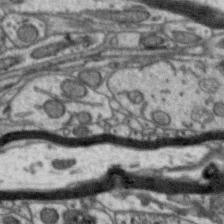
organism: Zebra finch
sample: Brain